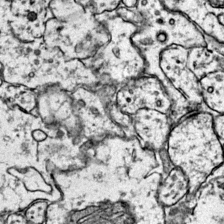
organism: Mouse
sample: Primary visual cortex